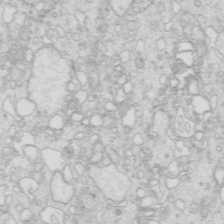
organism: Mouse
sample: Multiciliated cells